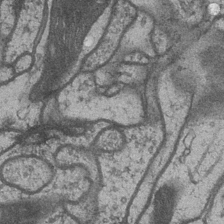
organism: Drosophila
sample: Optic medulla